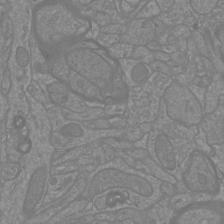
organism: Mouse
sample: Cortical neurons